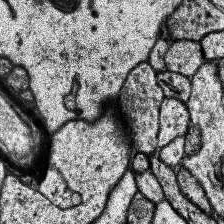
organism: Human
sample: Temporal Lobe